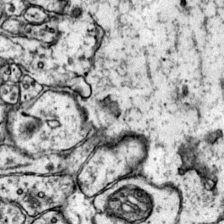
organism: Mouse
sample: Primary visual cortex